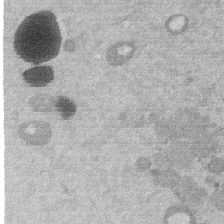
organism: Mouse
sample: Dividing mouse embryo 1 cell stage